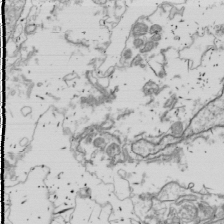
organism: Drosophila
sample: Cell division; meiosis; drosophila spermatocytes